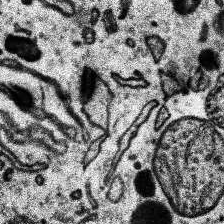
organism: Human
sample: Temporal Lobe